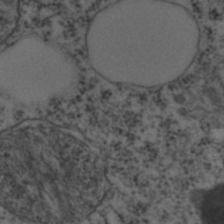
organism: C. elegans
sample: C. elegans embryo